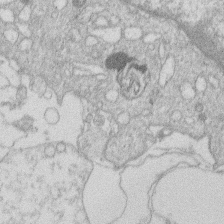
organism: Human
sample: Macrophage cells